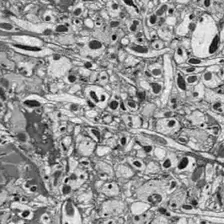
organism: Drosophila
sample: Optic lobe